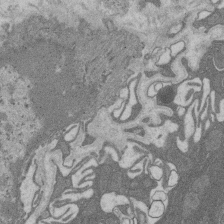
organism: Rat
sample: Salivary granule